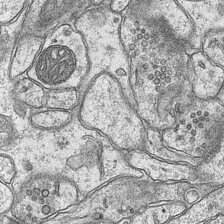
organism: Mouse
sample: CA1 Hippocampus